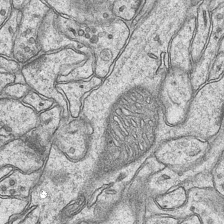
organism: Mouse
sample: CA1 Hippocampus